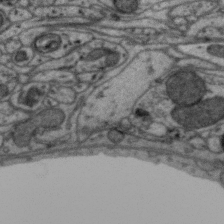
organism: Zebra finch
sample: Brain